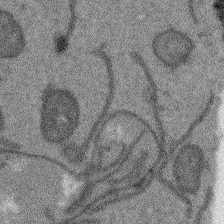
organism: Arabidopsis thaliana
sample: Root tip